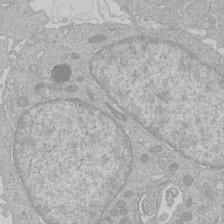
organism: Human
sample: Macrophage cells